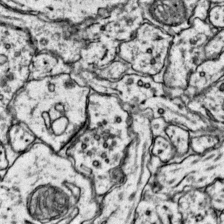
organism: Mouse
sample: Primary visual cortex